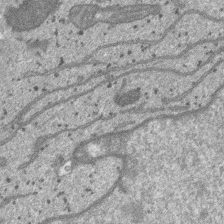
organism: Human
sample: Lung epithelial cells infected with SARS-CoV-2